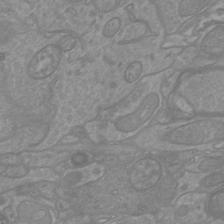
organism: Mouse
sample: Cortical neurons